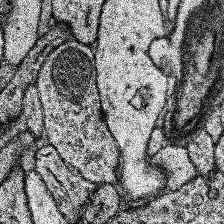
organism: Human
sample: Temporal Lobe